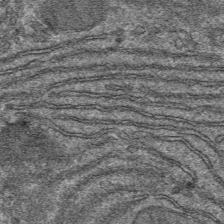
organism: Mouse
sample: Mouse hepatocytes